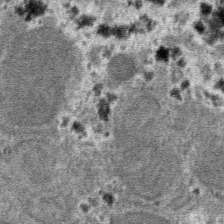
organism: Mouse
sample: Mouse hepatocytes